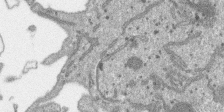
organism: Human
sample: Lung epithelial cells infected with SARS-CoV-2